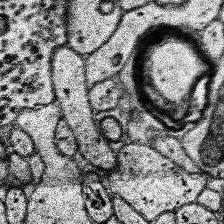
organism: Human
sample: Temporal Lobe